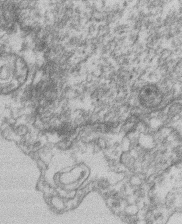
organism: Mouse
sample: T cell stromal cell synapse